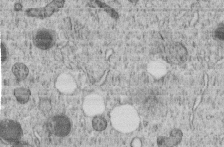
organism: C. elegans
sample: C. elegans embryo early stage